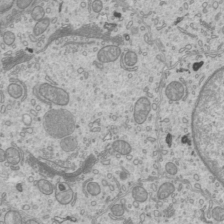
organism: Mouse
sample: Cilia; mouse epididymis